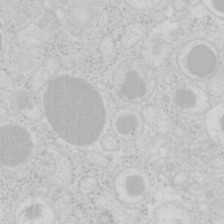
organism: Mouse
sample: Pancreas